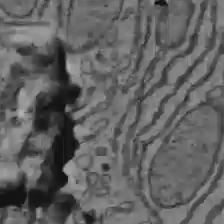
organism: C57BL Mouse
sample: Liver